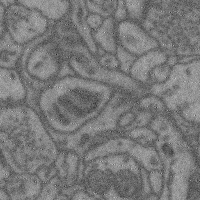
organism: Mouse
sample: Cerebral cortex